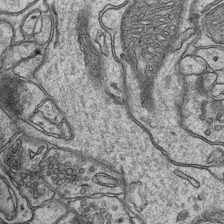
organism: Mouse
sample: CA1 Hippocampus